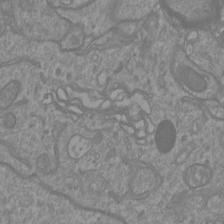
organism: Mouse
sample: Cortical neurons